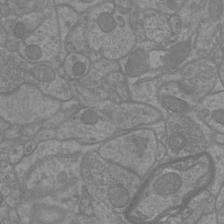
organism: Mouse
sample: Cortical neurons